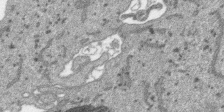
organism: Human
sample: Lung epithelial cells infected with SARS-CoV-2